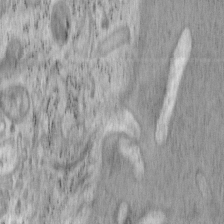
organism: Human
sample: HeLa cells